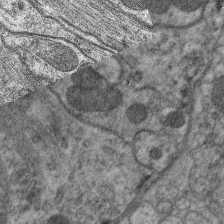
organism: C. elegans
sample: Pharynx